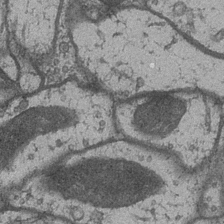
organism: Drosophila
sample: Optic medulla